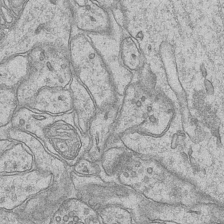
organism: Mouse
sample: CA1 Hippocampus